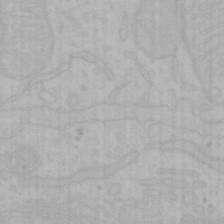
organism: Mouse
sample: Choroid plexus